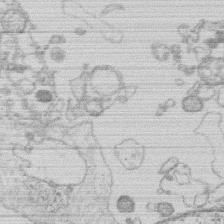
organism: Human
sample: Macrophage cells